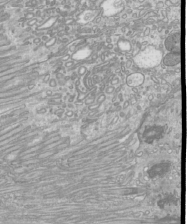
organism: Mouse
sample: Cilia; mouse epididymis